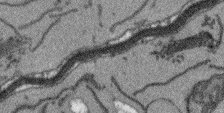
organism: Arabidopsis thaliana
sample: Root tip